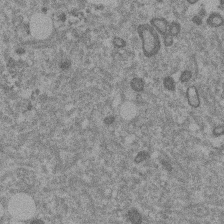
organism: Mouse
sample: Dividing mouse embryo 1 cell stage